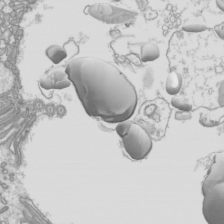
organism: Mouse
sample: Cilia; mouse epididymis